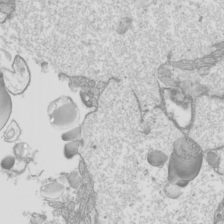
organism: Mouse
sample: Cilia; mouse epididymis